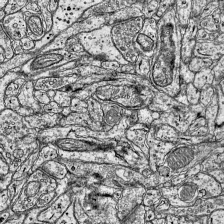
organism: Mouse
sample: Visual Cortex